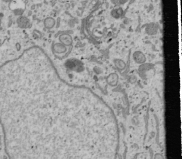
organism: Human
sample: Mitochondria in U2OS cells